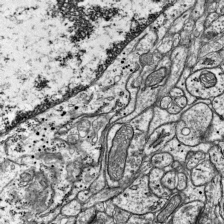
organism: Mouse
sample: Visual Cortex